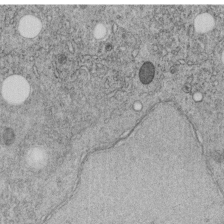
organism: C. elegans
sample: C. elegans embryo early stage